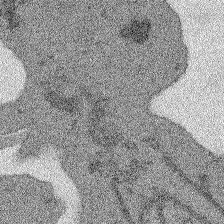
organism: Human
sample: HeLa cells